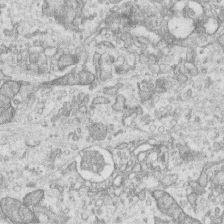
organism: Human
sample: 1205lu cells